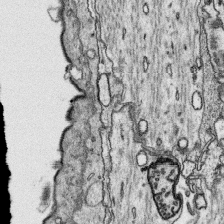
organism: Platynereis dumerilii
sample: Parapodia